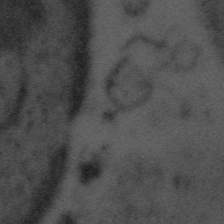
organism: Tuwongella immobilis